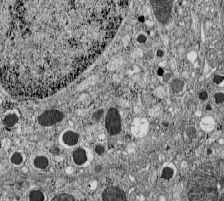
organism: C57BL Mouse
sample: Pancreatic islet